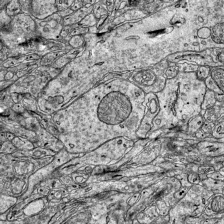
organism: Mouse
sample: Visual Cortex